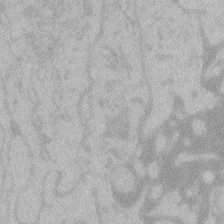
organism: Zebrafish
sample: Macrophage infected with Toxoplasma gondii